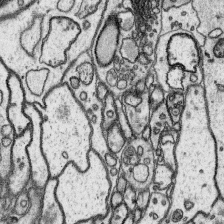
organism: Platynereis dumerilii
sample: Parapodia